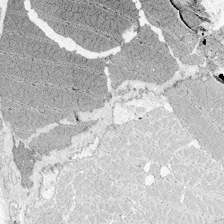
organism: Zebrafish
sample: Whole-Brain